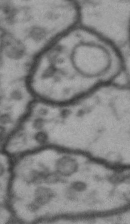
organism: Drosophila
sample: Brain